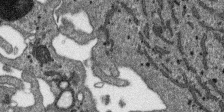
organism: Human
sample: Lung epithelial cells infected with SARS-CoV-2